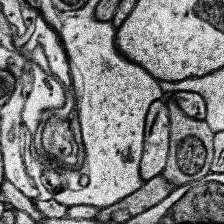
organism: Human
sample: Temporal Lobe